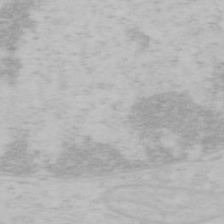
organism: Mouse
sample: OT-I killer T cells with ID8 ovarian cancer cells